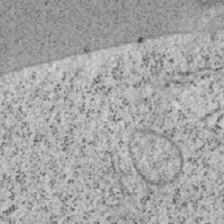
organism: Mouse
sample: OT-I killer T cells with ID8 ovarian cancer cells